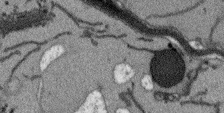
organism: Arabidopsis thaliana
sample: Root tip